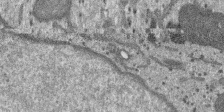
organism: Human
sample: Lung epithelial cells infected with SARS-CoV-2